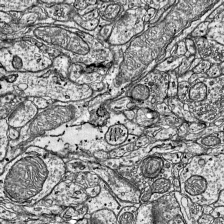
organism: Mouse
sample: Visual Cortex